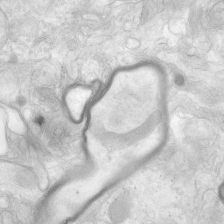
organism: Human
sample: Neocortex